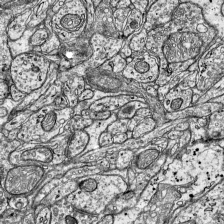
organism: Mouse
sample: Visual Cortex